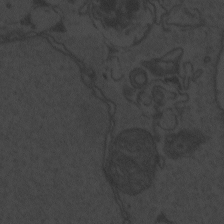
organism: Zebrafish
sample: Macrophage infected with Toxoplasma gondii